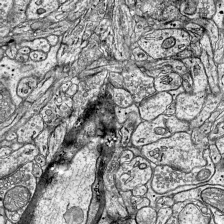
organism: Mouse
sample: Visual Cortex